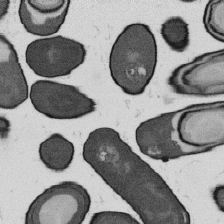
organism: B. subtilis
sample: Bacterial spore